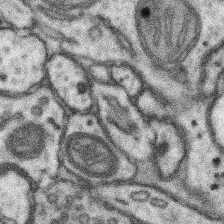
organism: Mouse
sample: Somatosensory cortex neuropil